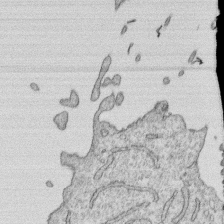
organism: Human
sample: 1205lu cells